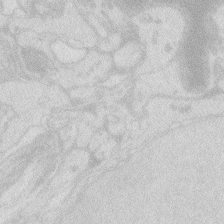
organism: Zebrafish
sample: Macrophage